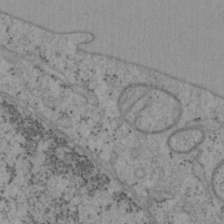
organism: Human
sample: HeLa cells